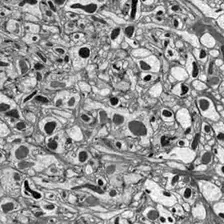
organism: Drosophila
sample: Optic lobe